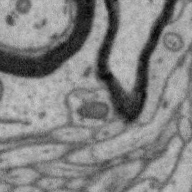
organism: Zebra finch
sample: Brain